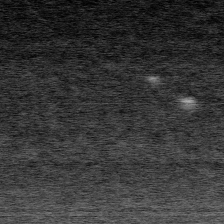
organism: Human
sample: HeLa cells